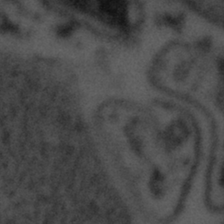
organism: Tuwongella immobilis